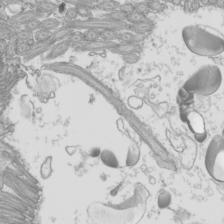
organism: Mouse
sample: Cilia; mouse epididymis